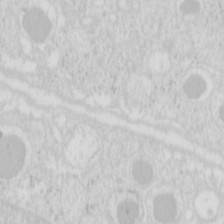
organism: Mouse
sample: Pancreas